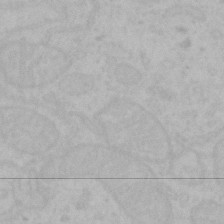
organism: Mouse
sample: Choroid plexus